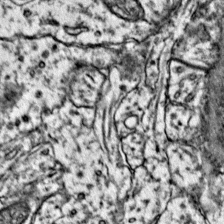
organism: Mouse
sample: Primary visual cortex